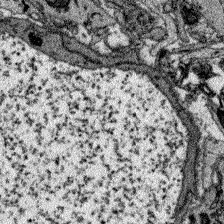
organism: Zebrafish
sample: Larval olfactory bulb